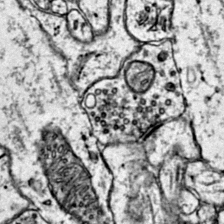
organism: Mouse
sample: Primary visual cortex